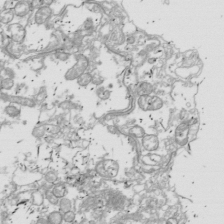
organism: Drosophila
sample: Cell division; meiosis; drosophila spermatocytes